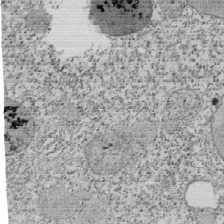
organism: Tetrahymena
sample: Cilia in tetrahymena